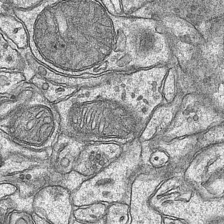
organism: Mouse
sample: CA1 Hippocampus